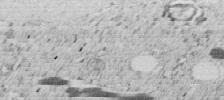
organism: C. elegans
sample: C. elegans embryo early stage